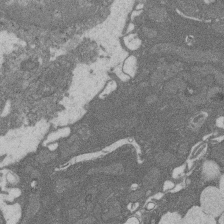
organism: Rat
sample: Salivary granule